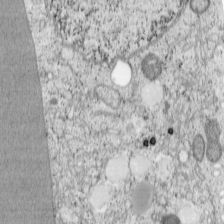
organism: African green monkey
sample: COS-7 cells